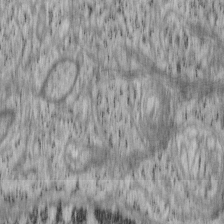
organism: Human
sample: HeLa cells